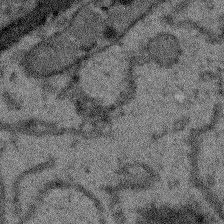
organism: Arabidopsis thaliana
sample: Root tip